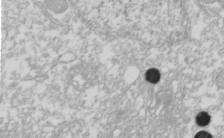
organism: Xenopus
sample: Cilia; centrioles in frog embryo cells